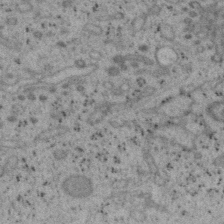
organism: Human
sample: HeLa cells